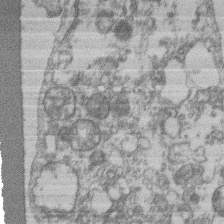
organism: Mouse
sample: T cell stromal cell synapse